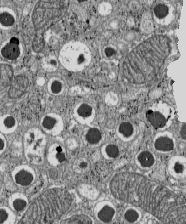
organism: C57BL Mouse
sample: Pancreatic islet